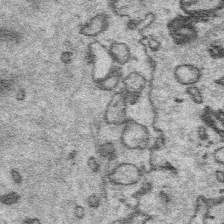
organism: Platynereis dumerilii